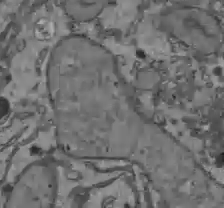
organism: C57BL Mouse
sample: Liver